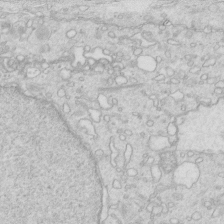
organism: Mouse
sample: Multiciliated cells